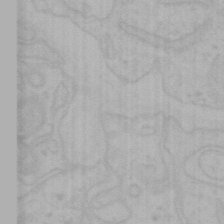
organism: Mouse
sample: Choroid plexus